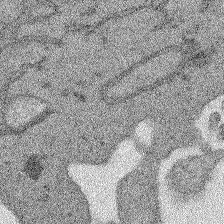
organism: Human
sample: HeLa cells